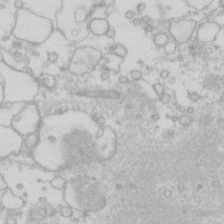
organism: Human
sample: Fibroblast cells